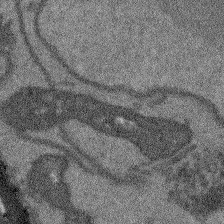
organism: Arabidopsis thaliana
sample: Root tip